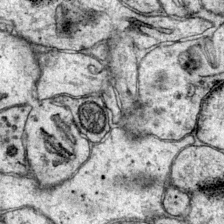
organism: Mouse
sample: Primary visual cortex